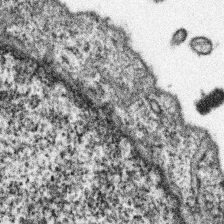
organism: Human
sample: HeLa cells